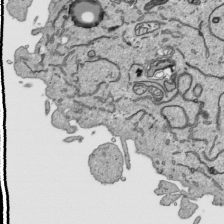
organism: Human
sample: Mitochondria in HCT116 cells